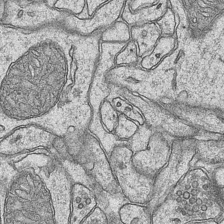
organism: Mouse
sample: CA1 Hippocampus